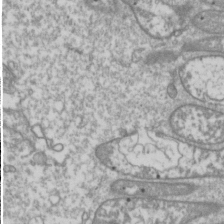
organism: Drosophila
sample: Cell division; meiosis; drosophila spermatocytes